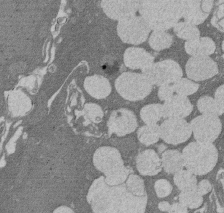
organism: Rat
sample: Salivary granule